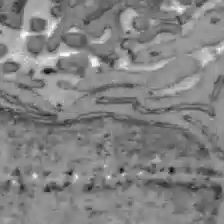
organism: C57BL Mouse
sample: Liver